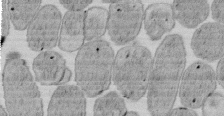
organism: E. coli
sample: Bacterial nucleoid